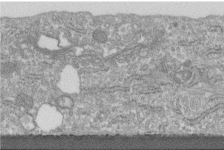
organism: Human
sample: Centriole in fibroblast cells